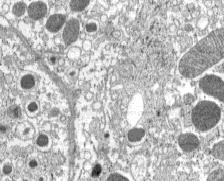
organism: C57BL Mouse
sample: Pancreatic islet